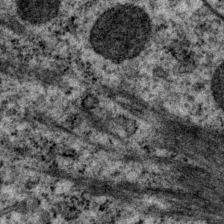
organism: P. pacificus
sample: Pharynx